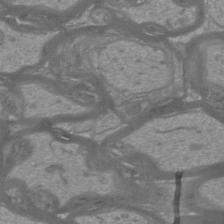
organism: Mouse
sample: Cortical neurons